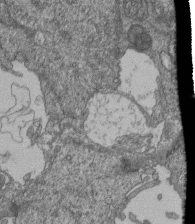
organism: Human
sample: Retinal organoid Rod and Cone cells